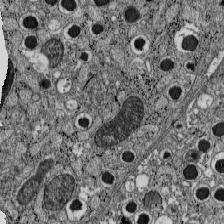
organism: C57BL Mouse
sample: Pancreatic islet